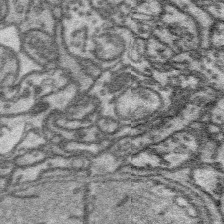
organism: Platynereis dumerilii